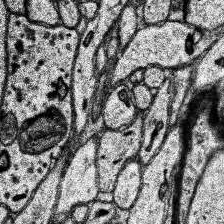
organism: Human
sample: Temporal Lobe